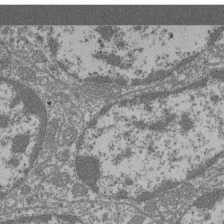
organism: Mouse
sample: Glomerulus